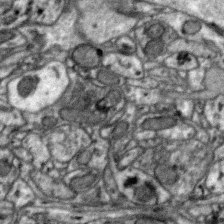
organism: Zebra finch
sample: Brain